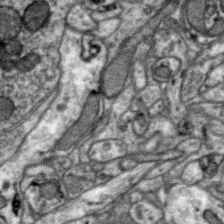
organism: Zebra finch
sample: Brain